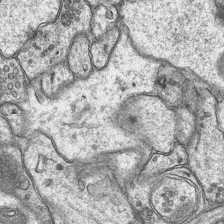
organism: Mouse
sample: CA1 Hippocampus